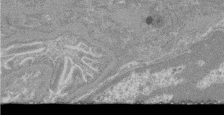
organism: Mouse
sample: Glomerulus